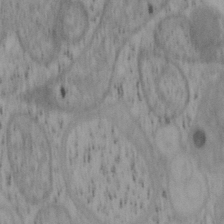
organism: Mouse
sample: OT-I killer T cells with ID8 ovarian cancer cells